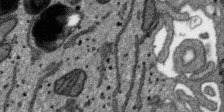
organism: Human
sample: Lung epithelial cells, uninfected (mock) control